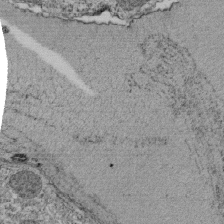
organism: Tetrahymena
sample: Cilia in tetrahymena